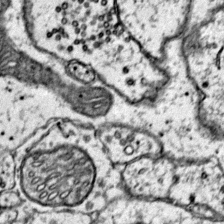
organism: Mouse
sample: Primary visual cortex